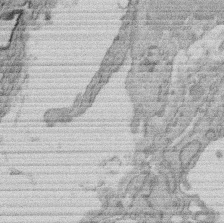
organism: Rat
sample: Salivary granule